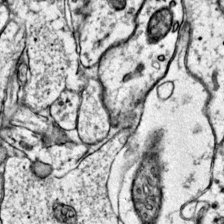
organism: Mouse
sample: Primary visual cortex